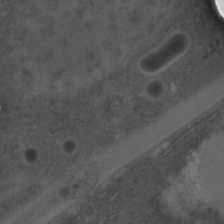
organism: C. elegans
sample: C. elegans embryo